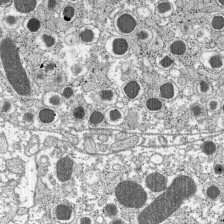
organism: C57BL Mouse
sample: Pancreatic islet